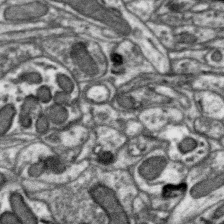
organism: Zebra finch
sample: Brain